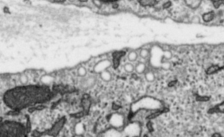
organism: Toxoplasma gondii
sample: Parasites in a vacuole inside a host cell